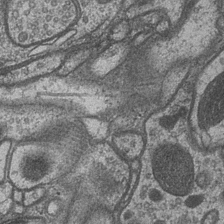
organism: Drosophila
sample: Optic medulla